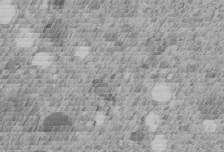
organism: C. elegans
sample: C. elegans embryo early stage